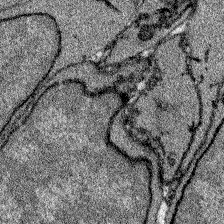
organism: Zebrafish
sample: Larval olfactory bulb